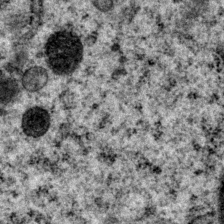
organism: P. pacificus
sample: Pharynx